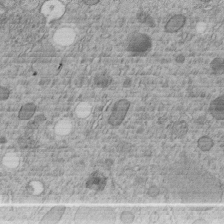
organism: C. elegans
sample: C. elegans embryo early stage